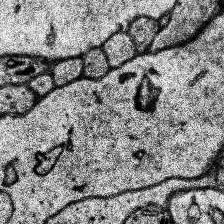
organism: Human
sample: Temporal Lobe